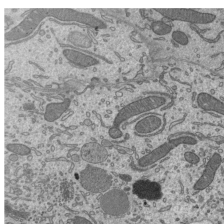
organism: Mouse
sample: Mouse epididymis efferent ductule cilia